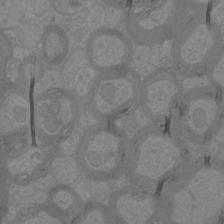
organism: Mouse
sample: Cortical neurons